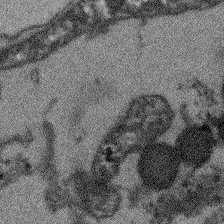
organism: Arabidopsis thaliana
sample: Root tip